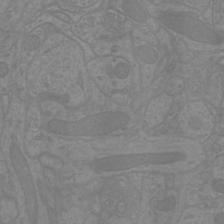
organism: Mouse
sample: Cortical neurons